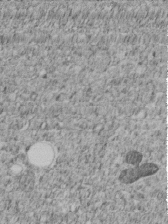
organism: C. elegans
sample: C. elegans embryo early stage